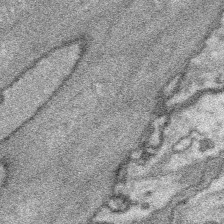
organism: Platynereis dumerilii